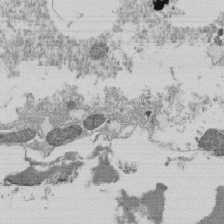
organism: Tetrahymena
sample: Cilia in tetrahymena